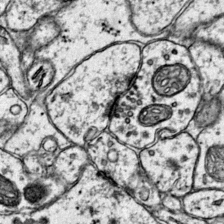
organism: Mouse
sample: Primary visual cortex